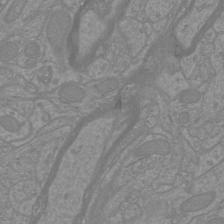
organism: Mouse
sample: Cortical neurons